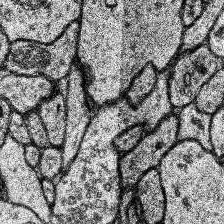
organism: Human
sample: Temporal Lobe